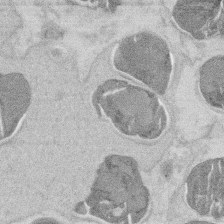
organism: Mouse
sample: T cell stromal cell synapse